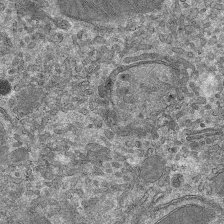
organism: Mouse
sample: Mouse hepatocytes